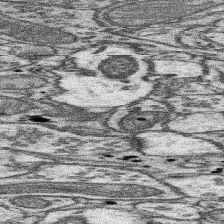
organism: Mouse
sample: Somatosensory cortex neuropil